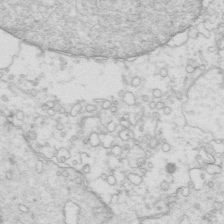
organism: Mouse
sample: Multiciliated cells